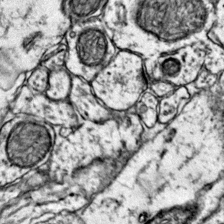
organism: Mouse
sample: Primary visual cortex